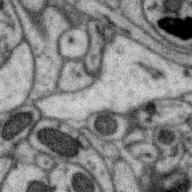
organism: Zebra finch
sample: Brain